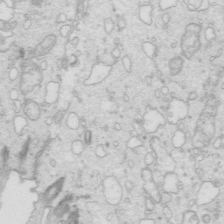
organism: Mouse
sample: Multiciliated cells